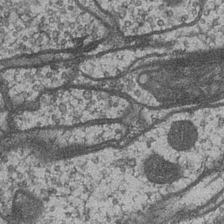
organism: Drosophila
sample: Optic medulla